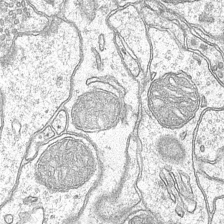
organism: Mouse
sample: CA1 Hippocampus